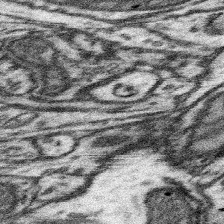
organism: Mouse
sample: Somatosensory cortex neuropil